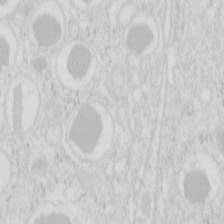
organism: Mouse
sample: Pancreas